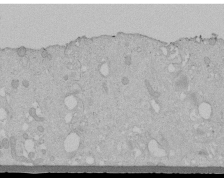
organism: Human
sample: Melanocyte Keratinocyte synapse skin construct